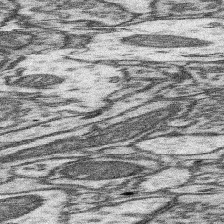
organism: Mouse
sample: Somatosensory cortex neuropil